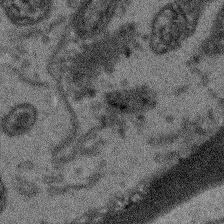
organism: Arabidopsis thaliana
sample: Root tip